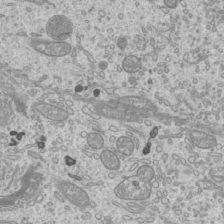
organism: Mouse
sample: Cilia; mouse epididymis